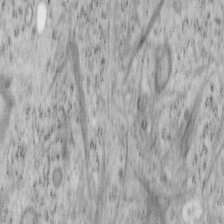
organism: Human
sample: HeLa cells